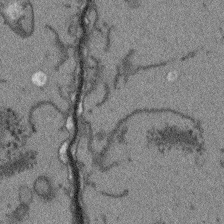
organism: Arabidopsis thaliana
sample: Root tip